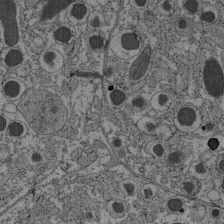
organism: C57BL Mouse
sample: Pancreatic islet